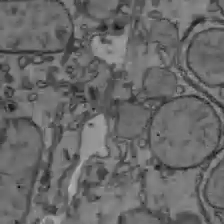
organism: C57BL Mouse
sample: Liver